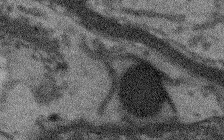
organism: Arabidopsis thaliana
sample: Root tip